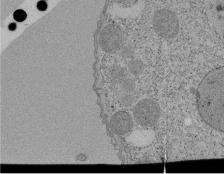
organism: Tetrahymena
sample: Cilia in tetrahymena